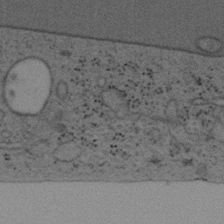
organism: Human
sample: HeLa cells